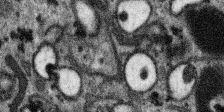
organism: Human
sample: Lung epithelial cells infected with SARS-CoV-2